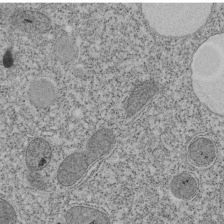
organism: Tetrahymena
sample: Cilia in tetrahymena